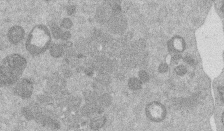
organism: Mouse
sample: Dividing mouse embryo 1 cell stage